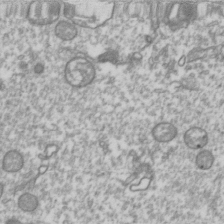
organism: Drosophila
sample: Cell division; meiosis; drosophila spermatocytes